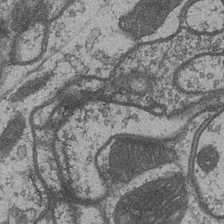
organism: Drosophila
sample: Optic medulla